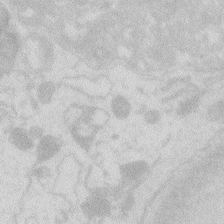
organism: Zebrafish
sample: Macrophage